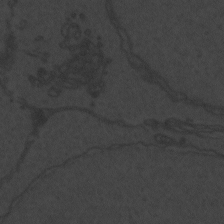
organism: Zebrafish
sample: Macrophage infected with Toxoplasma gondii